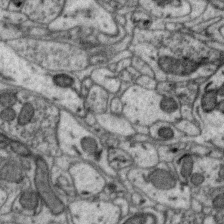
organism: Zebra finch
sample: Brain